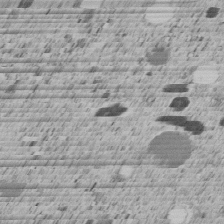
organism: C. elegans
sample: C. elegans embryo early stage